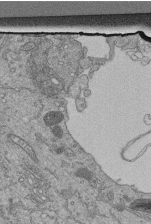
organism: Human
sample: Retinal organoid Rod and Cone cells